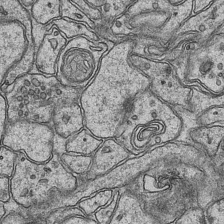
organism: Mouse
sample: CA1 Hippocampus